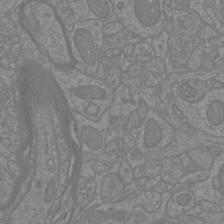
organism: Mouse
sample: Cortical neurons